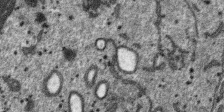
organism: Human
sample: Lung epithelial cells infected with SARS-CoV-2